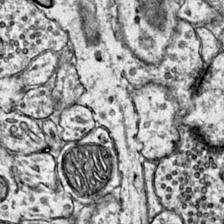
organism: Mouse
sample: Primary visual cortex